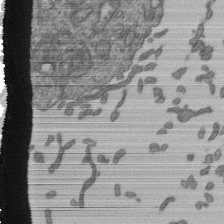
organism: Human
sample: Retinal organoid Rod and Cone cells